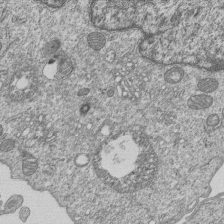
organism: Human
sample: MDA-MB-231 cells